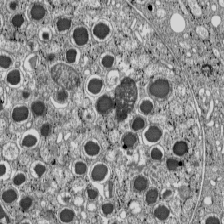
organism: C57BL Mouse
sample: Pancreatic islet